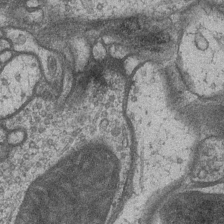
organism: Drosophila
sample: Optic medulla